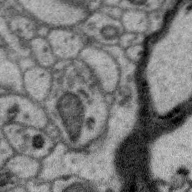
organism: Zebra finch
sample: Brain